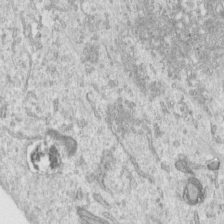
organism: Human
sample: Centriole in RPE cells